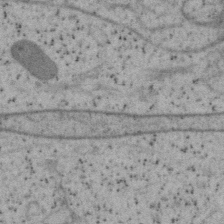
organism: Human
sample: HeLa cells